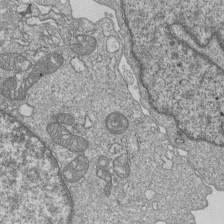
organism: Human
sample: MDA-MB-231 cells